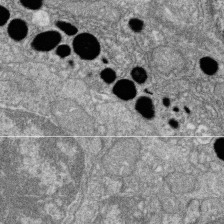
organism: Zebrafish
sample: Cilia; retinal pigment epithelium